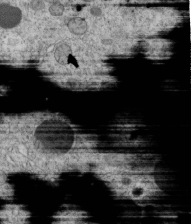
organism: C. elegans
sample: C. elegans embryo early stage